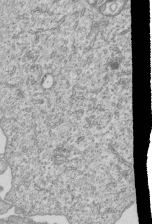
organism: Human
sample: MDA-MB-231 cells